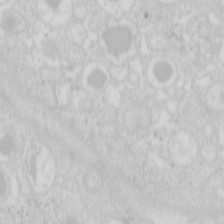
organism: Mouse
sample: Pancreas